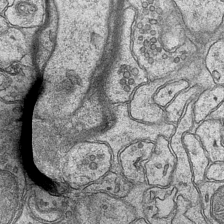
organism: Mouse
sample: CA1 Hippocampus